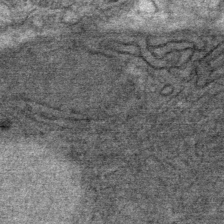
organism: Mouse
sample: Mouse Salivary gland